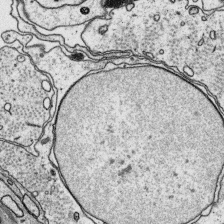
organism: Platynereis dumerilii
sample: Parapodia